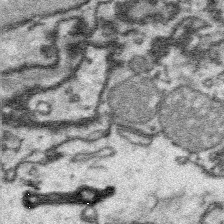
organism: Platynereis dumerilii